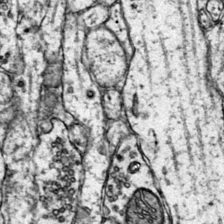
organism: Mouse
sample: Primary visual cortex